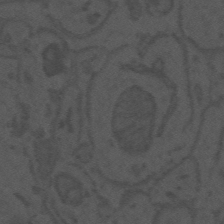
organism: Mouse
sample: Suprachiasmatic nucleus